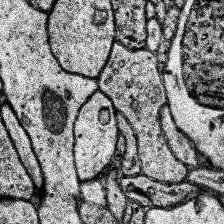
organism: Human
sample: Temporal Lobe